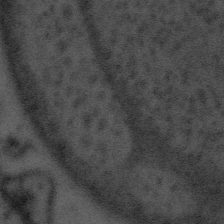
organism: Tuwongella immobilis